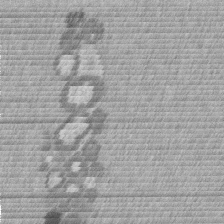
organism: Mouse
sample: Dividing mouse embryo 1 cell stage